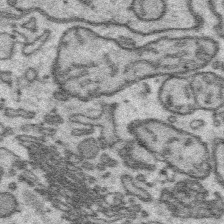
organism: Platynereis dumerilii